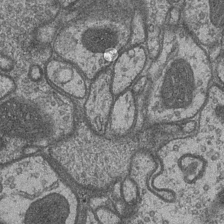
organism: Drosophila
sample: Optic medulla